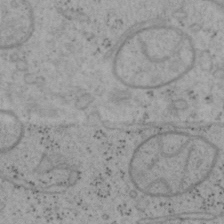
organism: Human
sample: HeLa cells